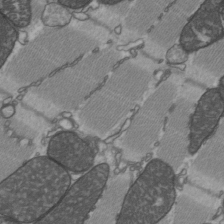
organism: C57BL Mouse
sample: Heart